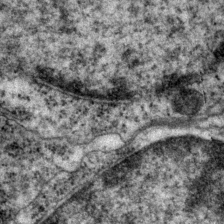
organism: P. pacificus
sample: Pharynx